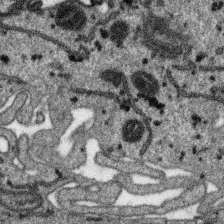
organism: Human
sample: Lung epithelial cells infected with SARS-CoV-2